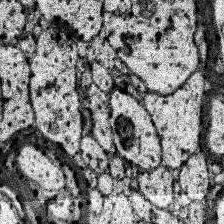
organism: Human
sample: Temporal Lobe